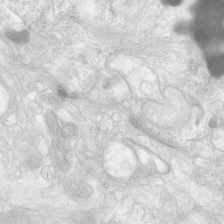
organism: Human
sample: Neocortex